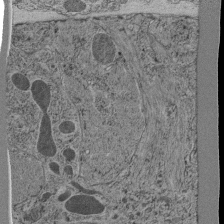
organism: C. elegans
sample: C. elegans pharynx